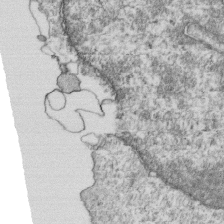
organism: Mouse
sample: Activated OT-1 CD8+ T cells